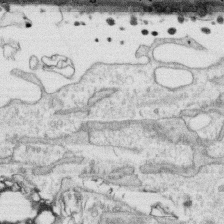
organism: Human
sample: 1205lu cells